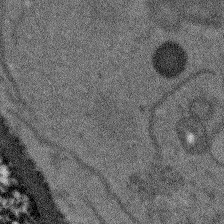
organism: Arabidopsis thaliana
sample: Root tip